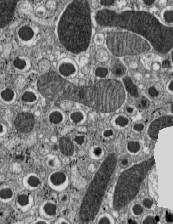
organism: C57BL Mouse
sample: Pancreatic islet